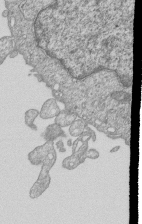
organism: Human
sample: MDA-MB-231 cells